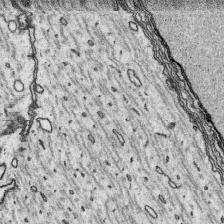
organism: Platynereis dumerilii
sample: Parapodia